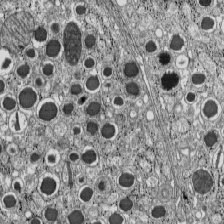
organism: C57BL Mouse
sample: Pancreatic islet